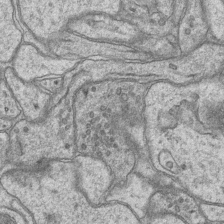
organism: Mouse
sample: CA1 Hippocampus